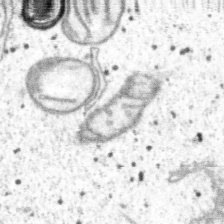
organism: Human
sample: HeLa cells